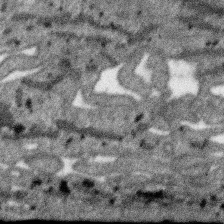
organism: Human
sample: Lung epithelial cells infected with SARS-CoV-2